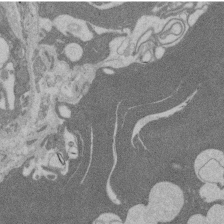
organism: Rat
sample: Salivary granule